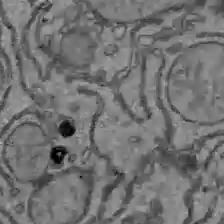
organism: C57BL Mouse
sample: Liver